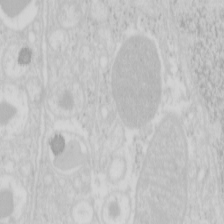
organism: Mouse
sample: Pancreas